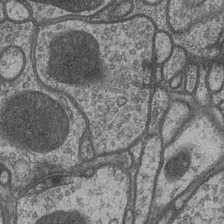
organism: Drosophila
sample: Optic medulla